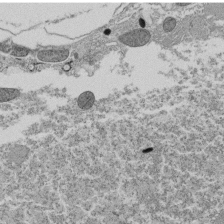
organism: Tetrahymena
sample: Cilia in tetrahymena